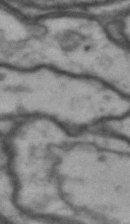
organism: Drosophila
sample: Brain